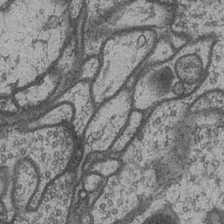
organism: Drosophila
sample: Optic medulla